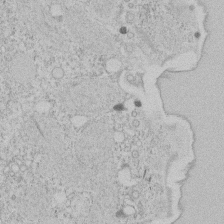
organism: Tetrahymena